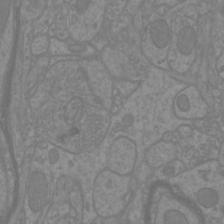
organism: Mouse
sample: Cortical neurons